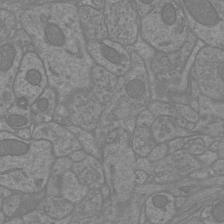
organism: Mouse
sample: Cortical neurons